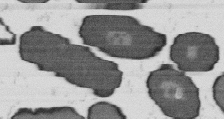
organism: B. subtilis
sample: Bacterial spore